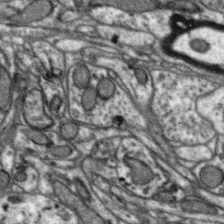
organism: Zebra finch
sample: Brain